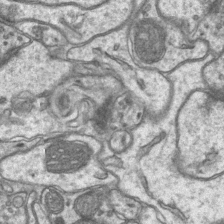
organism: Mouse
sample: CA1 Hippocampus